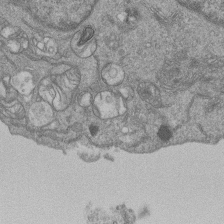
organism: Human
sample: MDA-MB-231 cells